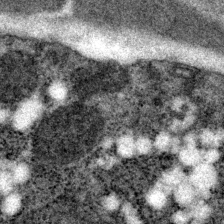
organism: P. pacificus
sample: Pharynx